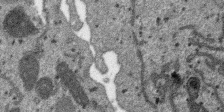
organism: Human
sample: Lung epithelial cells infected with SARS-CoV-2